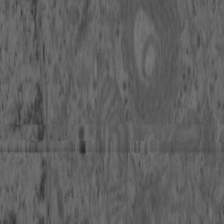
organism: Human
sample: HeLa cells